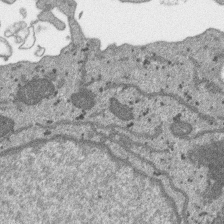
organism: Human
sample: Lung epithelial cells infected with SARS-CoV-2